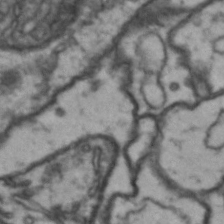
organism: Drosophila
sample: Brain